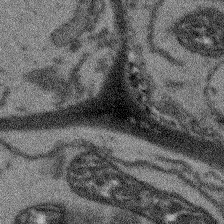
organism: Arabidopsis thaliana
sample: Root tip